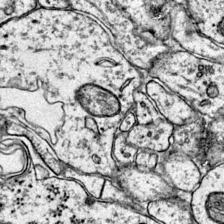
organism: Mouse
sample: Primary visual cortex